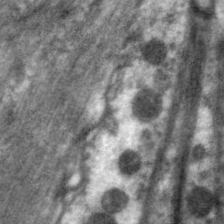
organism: C. elegans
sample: Pharynx